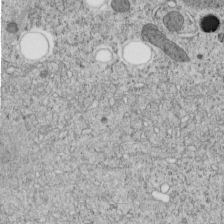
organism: C. elegans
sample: C. elegans embryo early stage